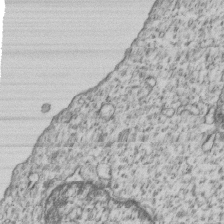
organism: Human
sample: MDA-MB-231 cells